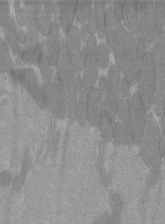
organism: C57BL Mouse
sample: Tibialis anterior muscle cell